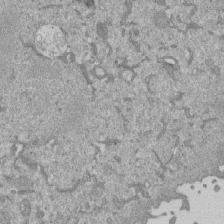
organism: Mouse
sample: ED-1 cell nuclei; centrioles